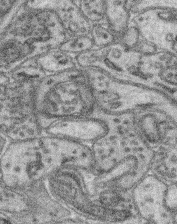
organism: Mouse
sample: Retina